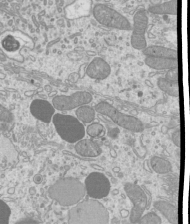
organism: Mouse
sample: Cilia; mouse epididymis